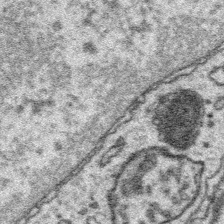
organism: Platynereis dumerilii